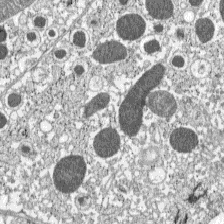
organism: C57BL Mouse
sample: Pancreatic islet